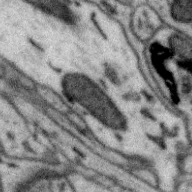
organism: Zebra finch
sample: Brain